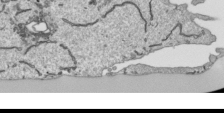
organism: Human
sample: Mitochondria in HCT116 cells